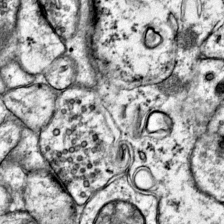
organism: Mouse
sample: Primary visual cortex